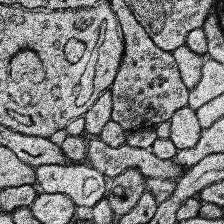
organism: Human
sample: Temporal Lobe